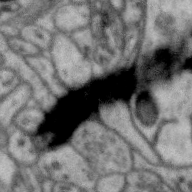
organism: Zebra finch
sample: Brain